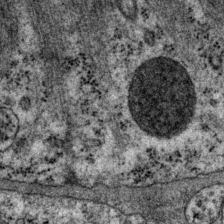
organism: P. pacificus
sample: Pharynx